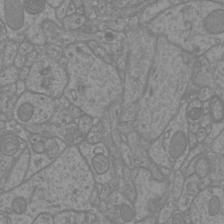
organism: Mouse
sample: Cortical neurons